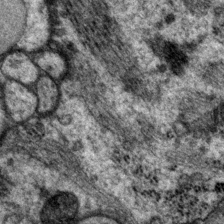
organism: P. pacificus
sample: Pharynx